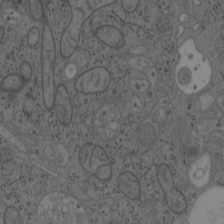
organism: Mouse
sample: OT-I killer T cells with ID8 ovarian cancer cells